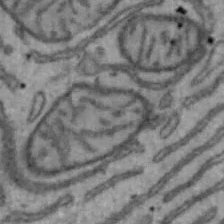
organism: Mouse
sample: Liver